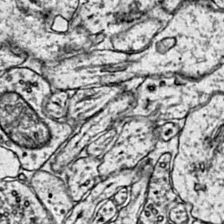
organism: Mouse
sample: Primary visual cortex